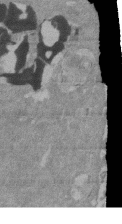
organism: Mouse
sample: ED-1 cell nuclei; centrioles